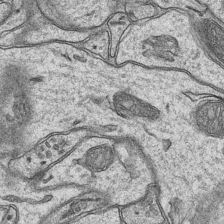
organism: Mouse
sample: CA1 Hippocampus